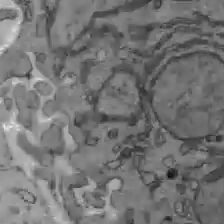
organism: C57BL Mouse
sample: Liver